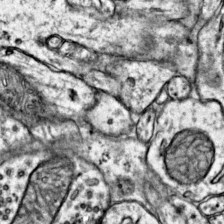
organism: Mouse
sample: Primary visual cortex